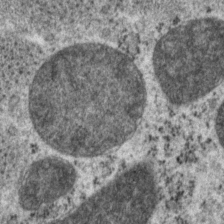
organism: P. pacificus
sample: Pharynx